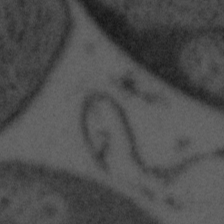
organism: Tuwongella immobilis